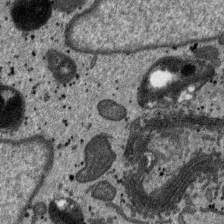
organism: Human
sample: Lung epithelial cells, uninfected (mock) control